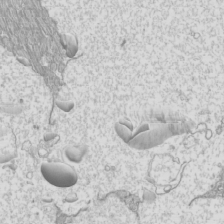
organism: Mouse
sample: Cilia; mouse epididymis